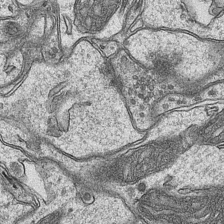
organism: Mouse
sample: CA1 Hippocampus